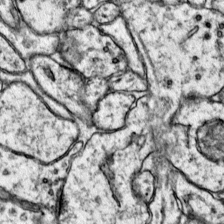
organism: Mouse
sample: Primary visual cortex